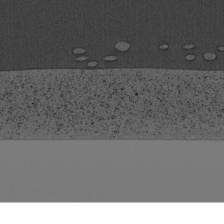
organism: African green monkey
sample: COS-7 cells